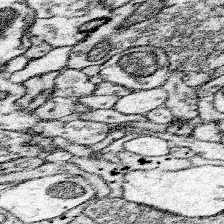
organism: Mouse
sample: Somatosensory cortex neuropil